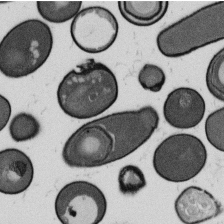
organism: B. subtilis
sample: Bacterial spore